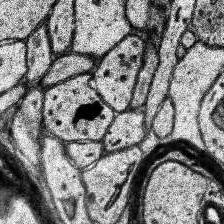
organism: Human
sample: Temporal Lobe